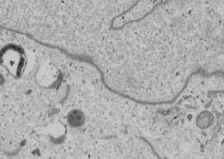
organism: Human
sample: Mitochondria in U2OS cells